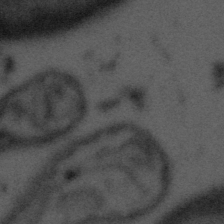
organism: Tuwongella immobilis